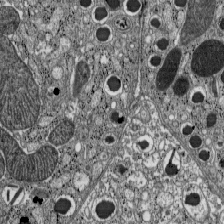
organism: C57BL Mouse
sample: Pancreatic islet